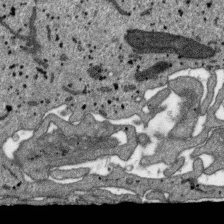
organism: Human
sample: Lung epithelial cells, uninfected (mock) control